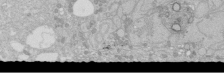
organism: Human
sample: Caco-2 cells